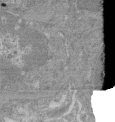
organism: Mouse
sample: Glomerulus